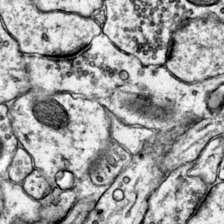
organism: Mouse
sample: Primary visual cortex